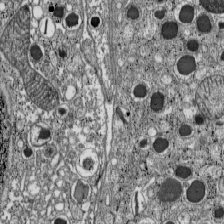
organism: C57BL Mouse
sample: Pancreatic islet